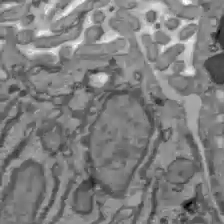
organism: C57BL Mouse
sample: Liver